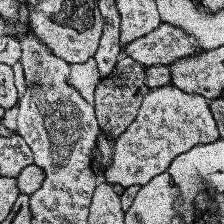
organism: Human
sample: Temporal Lobe